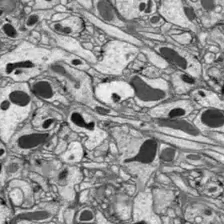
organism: Drosophila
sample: Optic lobe